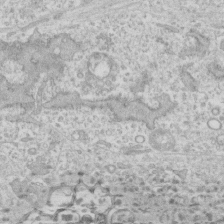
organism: Human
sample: CRL-1474